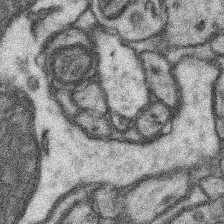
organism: Mouse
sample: Somatosensory cortex neuropil